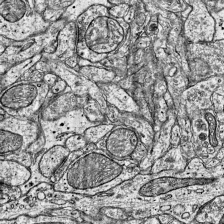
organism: Mouse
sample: Visual Cortex